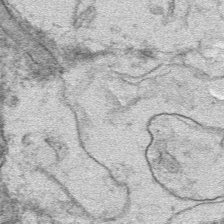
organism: Mouse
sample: Mouse hepatocytes